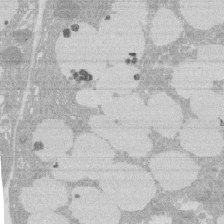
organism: Rat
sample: Salivary granule